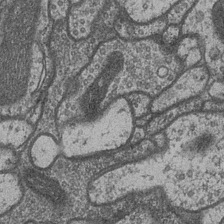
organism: Drosophila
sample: Optic medulla